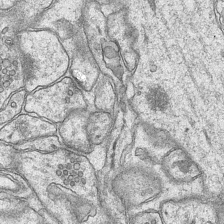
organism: Mouse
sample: CA1 Hippocampus